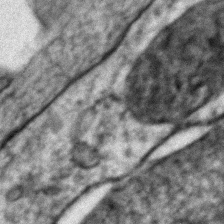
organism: Zebrafish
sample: Zebrafish embryo